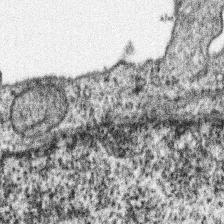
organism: Human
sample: HeLa cells